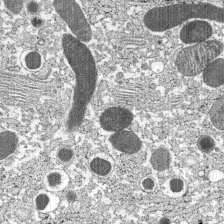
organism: C57BL Mouse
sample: Pancreatic islet